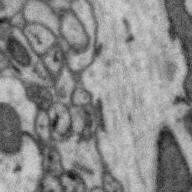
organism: Zebra finch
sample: Brain